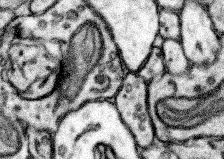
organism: Mouse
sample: Somatosensory cortex neuropil